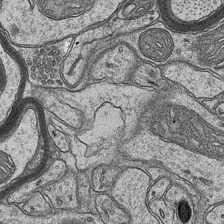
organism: Mouse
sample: CA1 Hippocampus